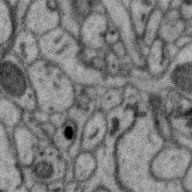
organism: Zebra finch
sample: Brain